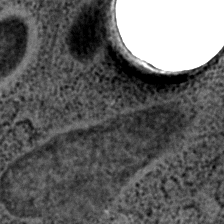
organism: C. elegans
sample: C. elegans embryo